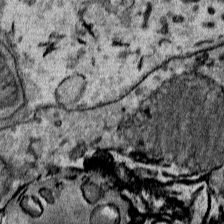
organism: Mouse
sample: Mouse Salivary gland